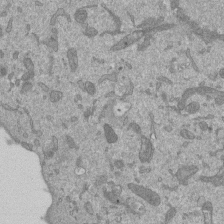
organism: Mouse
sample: ED-1 cell nuclei; centrioles